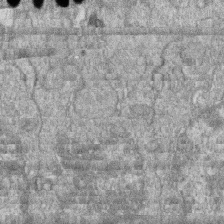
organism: Zebrafish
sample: Cilia; retinal pigment epithelium